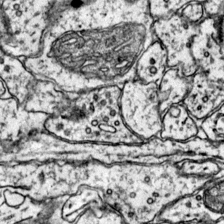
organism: Mouse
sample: Primary visual cortex